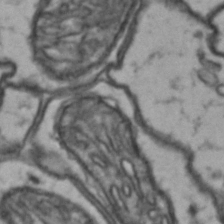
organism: Drosophila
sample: Brain